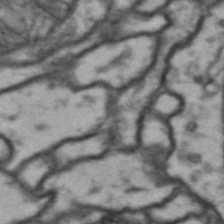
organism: Drosophila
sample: Brain